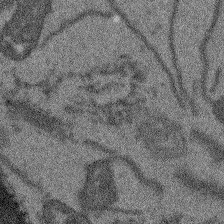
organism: Arabidopsis thaliana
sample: Root tip